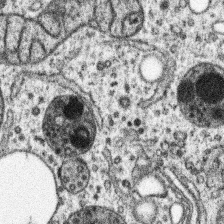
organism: Human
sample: HeLa cells